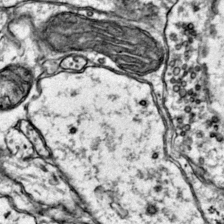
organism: Mouse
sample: Primary visual cortex